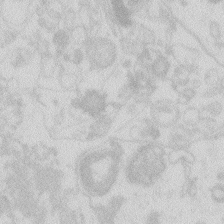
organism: Zebrafish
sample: Macrophage